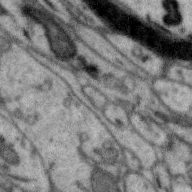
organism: Zebra finch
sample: Brain